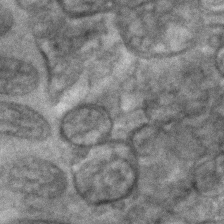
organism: C. elegans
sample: C. elegans embryo